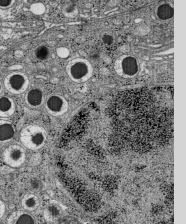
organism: C57BL Mouse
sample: Pancreatic islet